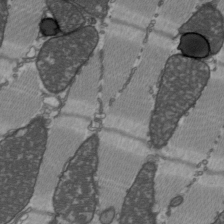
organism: C57BL Mouse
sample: Heart